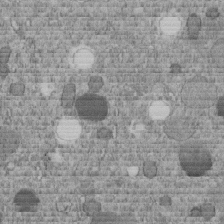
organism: C. elegans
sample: C. elegans embryo early stage